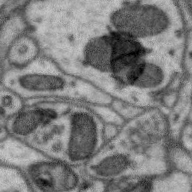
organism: Zebra finch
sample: Brain